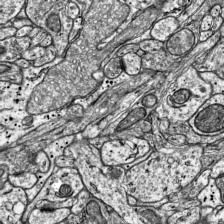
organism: Mouse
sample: Visual Cortex